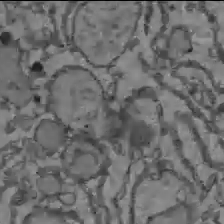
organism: C57BL Mouse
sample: Liver